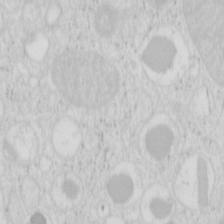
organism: Mouse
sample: Pancreas